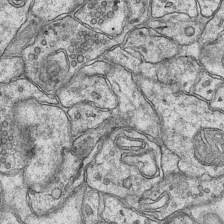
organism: Mouse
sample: CA1 Hippocampus